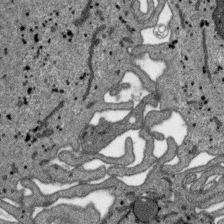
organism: Human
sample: Lung epithelial cells, uninfected (mock) control